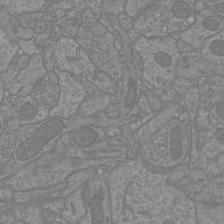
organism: Mouse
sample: Cortical neurons